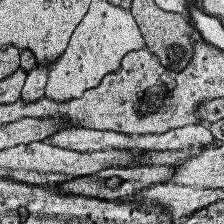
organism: Human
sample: Temporal Lobe